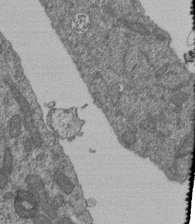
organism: Human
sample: Retinal organoid Rod and Cone cells